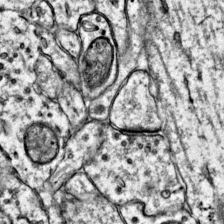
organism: Mouse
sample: Primary visual cortex